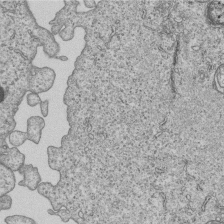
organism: Human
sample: MDA-MB-231 cells